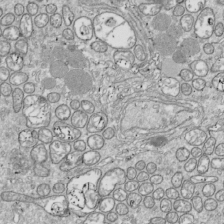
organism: Drosophila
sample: Cell division; meiosis; drosophila spermatocytes